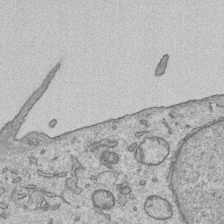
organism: Human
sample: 1205lu cells